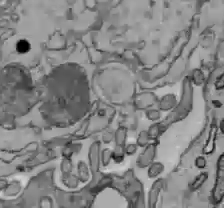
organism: C57BL Mouse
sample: Liver